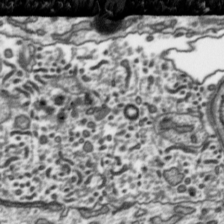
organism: Toxoplasma gondii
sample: Parasites in a vacuole inside a host cell